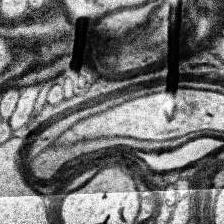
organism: Human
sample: Temporal Lobe